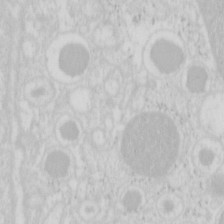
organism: Mouse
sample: Pancreas